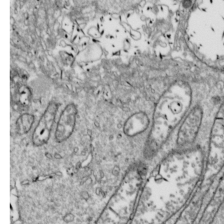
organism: Drosophila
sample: Cell division; meiosis; drosophila spermatocytes